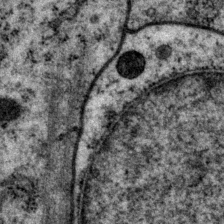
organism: P. pacificus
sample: Pharynx